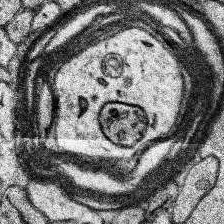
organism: Human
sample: Temporal Lobe